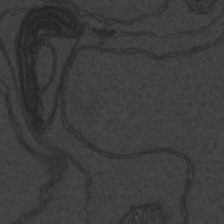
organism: Zebrafish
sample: Macrophage infected with Toxoplasma gondii